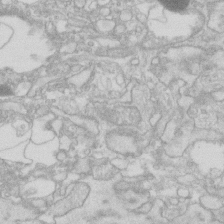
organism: Human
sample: Fibroblast cells